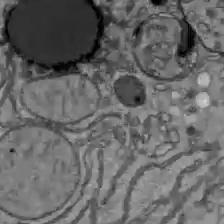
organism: C57BL Mouse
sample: Liver